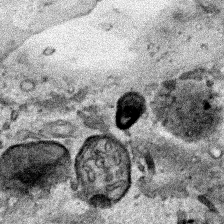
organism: Human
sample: Mitochondria in HCT116 cells